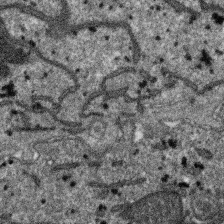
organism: Human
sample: Lung epithelial cells infected with SARS-CoV-2